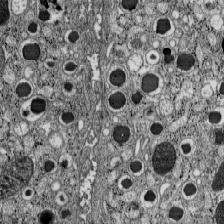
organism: C57BL Mouse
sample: Pancreatic islet